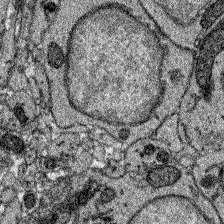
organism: Zebrafish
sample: Larval olfactory bulb